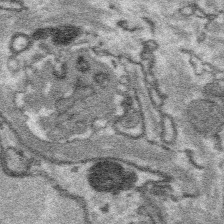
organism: Platynereis dumerilii